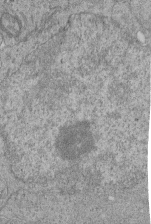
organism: Human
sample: Retinal organoid Rod and Cone cells